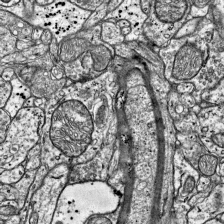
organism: Mouse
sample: Visual Cortex